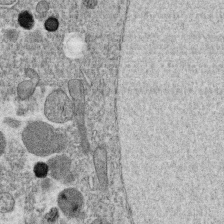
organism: C. elegans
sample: C. elegans oocyte; sperm cells